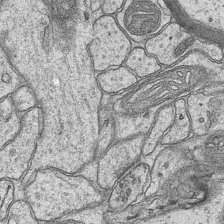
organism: Mouse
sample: CA1 Hippocampus